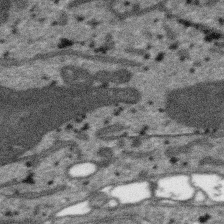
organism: Human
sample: Lung epithelial cells infected with SARS-CoV-2